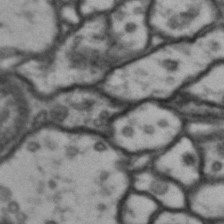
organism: Drosophila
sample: Brain